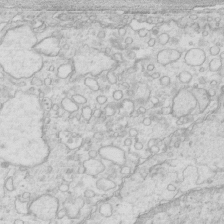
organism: Mouse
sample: Multiciliated cells